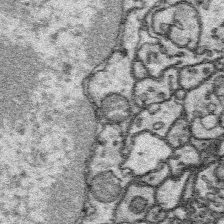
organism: Platynereis dumerilii